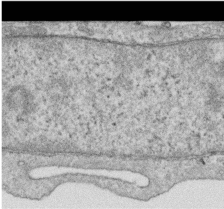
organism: Human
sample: Centriole in RPE cells